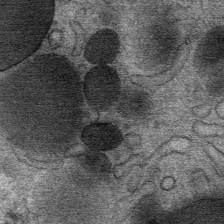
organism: Mouse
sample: Mouse Salivary gland